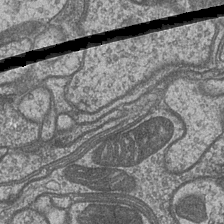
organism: Drosophila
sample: Optic medulla